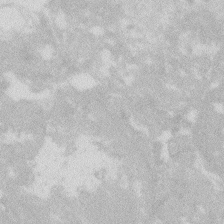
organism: Zebrafish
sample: Macrophage